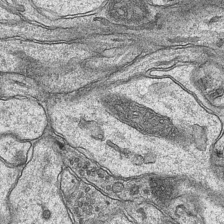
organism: Mouse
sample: CA1 Hippocampus